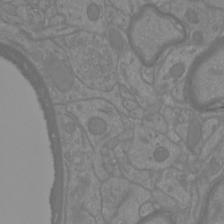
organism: Mouse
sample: Cortical neurons